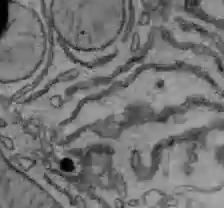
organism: C57BL Mouse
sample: Liver